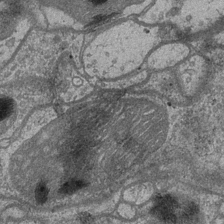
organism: Drosophila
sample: Optic medulla